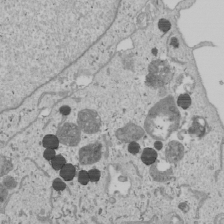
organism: Human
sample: Mitochondria in U2OS cells